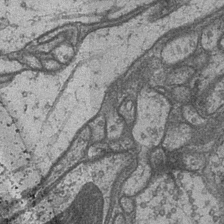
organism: Drosophila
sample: Optic medulla